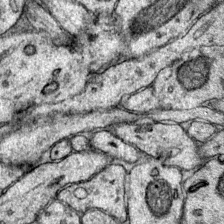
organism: Mouse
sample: Primary visual cortex